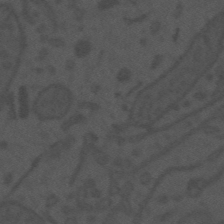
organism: Mouse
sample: Suprachiasmatic nucleus